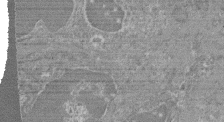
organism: Mouse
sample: Glomerulus